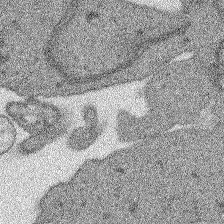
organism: Human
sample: HeLa cells